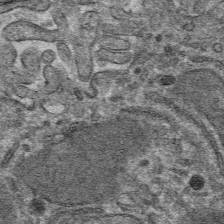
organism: Mouse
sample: Mouse hepatocytes